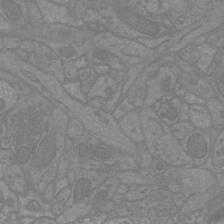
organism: Mouse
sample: Cortical neurons